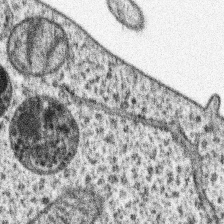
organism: Human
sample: HeLa cells